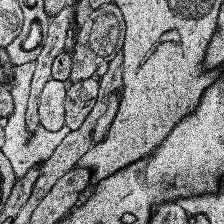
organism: Human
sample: Temporal Lobe